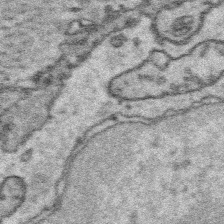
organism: Platynereis dumerilii